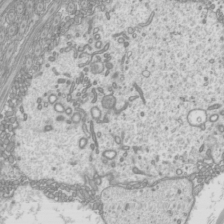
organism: Mouse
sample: Cilia; mouse epididymis